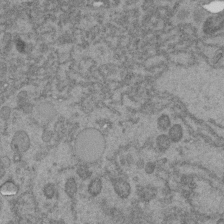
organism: C. elegans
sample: C. elegans embryo early stage